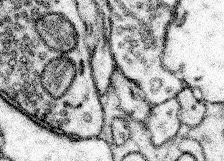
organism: Mouse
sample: Somatosensory cortex neuropil